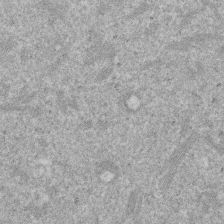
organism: Mouse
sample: Dividing mouse embryo 1 cell stage